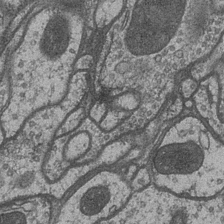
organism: Drosophila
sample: Optic medulla